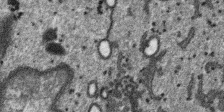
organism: Human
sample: Lung epithelial cells infected with SARS-CoV-2